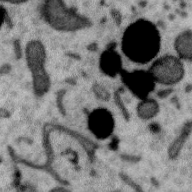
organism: Zebra finch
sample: Brain